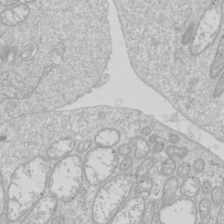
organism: Drosophila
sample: Cell division; meiosis; drosophila spermatocytes